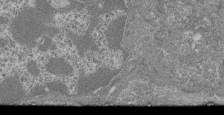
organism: Mouse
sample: Glomerulus